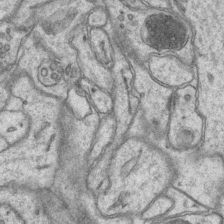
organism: Mouse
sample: CA1 Hippocampus